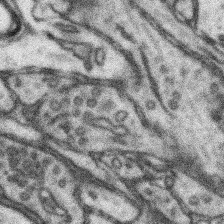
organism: Mouse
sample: Somatosensory cortex neuropil